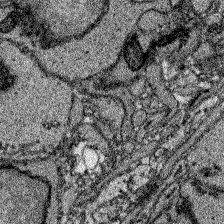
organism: Zebrafish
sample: Larval olfactory bulb